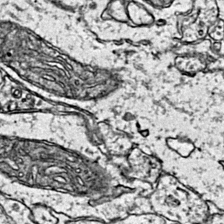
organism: Mouse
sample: Primary visual cortex